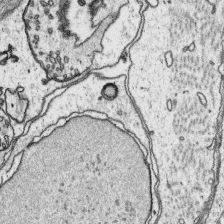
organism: Platynereis dumerilii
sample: Parapodia